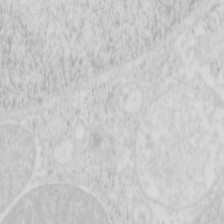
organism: Mouse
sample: Pancreas